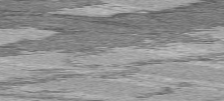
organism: C57BL Mouse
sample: Heart